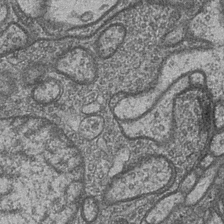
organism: Drosophila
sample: Optic medulla